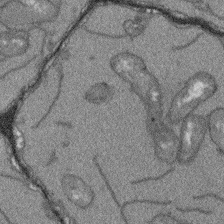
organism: Arabidopsis thaliana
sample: Root tip